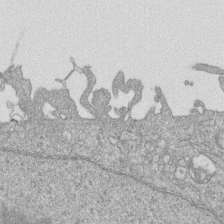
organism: Human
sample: HeLa cell HIV synapse